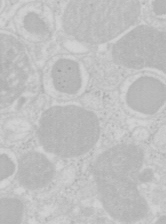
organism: Mouse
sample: Pancreas